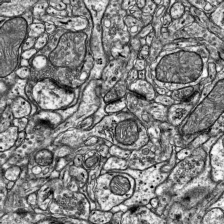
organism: Mouse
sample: Visual Cortex